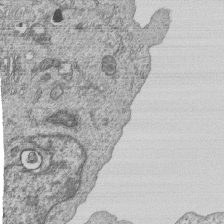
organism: Human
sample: MDA-MB-231 cells